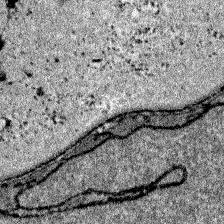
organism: Zebrafish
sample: Larval olfactory bulb